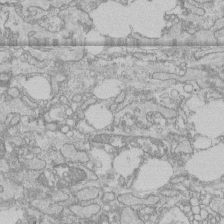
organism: Human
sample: CRL-1474